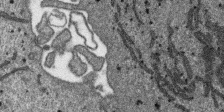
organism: Human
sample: Lung epithelial cells infected with SARS-CoV-2